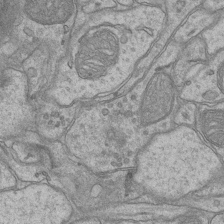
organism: Mouse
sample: CA1 Hippocampus